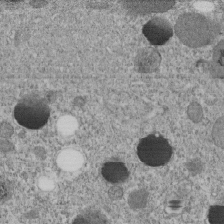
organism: C. elegans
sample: C. elegans embryo early stage